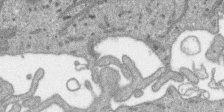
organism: Human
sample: Lung epithelial cells infected with SARS-CoV-2